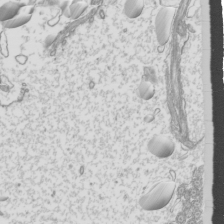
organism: Mouse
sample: Cilia; mouse epididymis